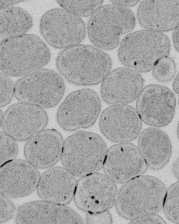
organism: E. coli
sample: Bacterial nucleoid